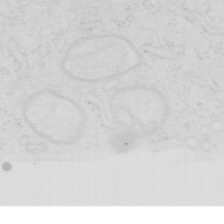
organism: Human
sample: SUM-159 cell